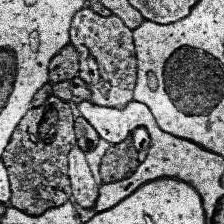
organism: Human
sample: Temporal Lobe